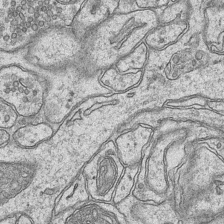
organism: Mouse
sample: CA1 Hippocampus